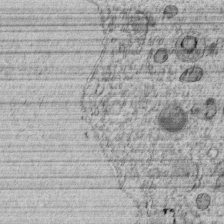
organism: C. elegans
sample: C. elegans embryo early stage